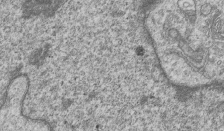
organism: Human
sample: MDA-MB-231 cells